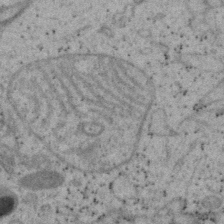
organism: Human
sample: HeLa cells